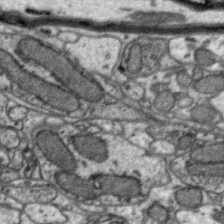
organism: Zebra finch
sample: Brain